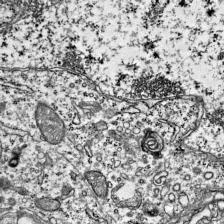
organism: Mouse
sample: Visual Cortex